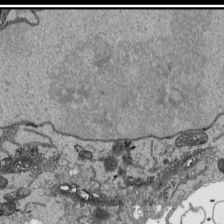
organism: Human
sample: Mitochondria in HCT116 cells